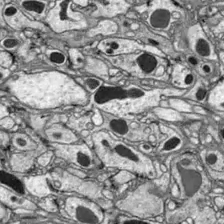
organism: Drosophila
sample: Optic lobe